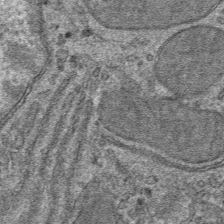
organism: Mouse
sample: Mouse hepatocytes